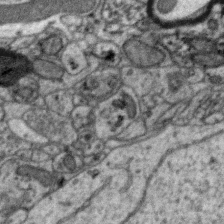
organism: Zebra finch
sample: Brain